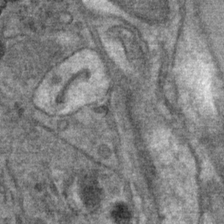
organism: Mouse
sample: Mouse Salivary gland